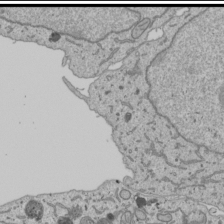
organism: Human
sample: Mitochondria in U2OS cells